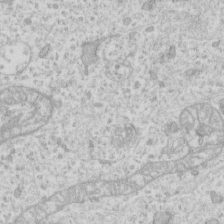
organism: Human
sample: Fibroblast cells